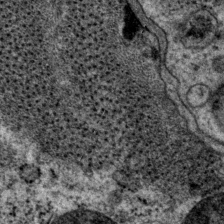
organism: P. pacificus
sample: Pharynx